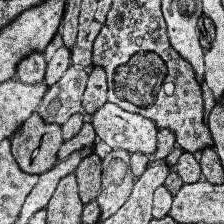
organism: Human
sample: Temporal Lobe